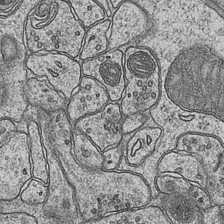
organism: Mouse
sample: CA1 Hippocampus